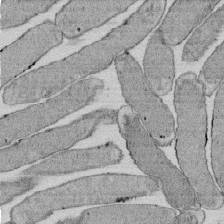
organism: E. coli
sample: Bacterial nucleoid